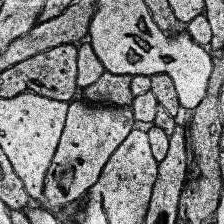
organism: Human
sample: Temporal Lobe